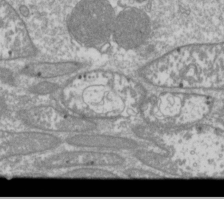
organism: Drosophila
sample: Cell division; meiosis; drosophila spermatocytes